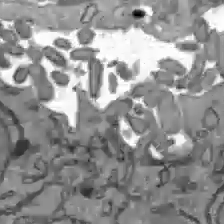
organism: C57BL Mouse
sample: Liver